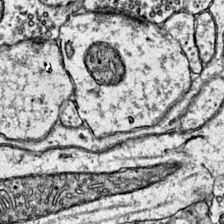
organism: Mouse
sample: Primary visual cortex